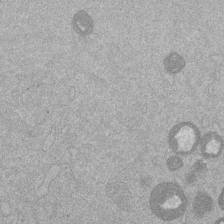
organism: Mouse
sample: Dividing mouse embryo 1 cell stage